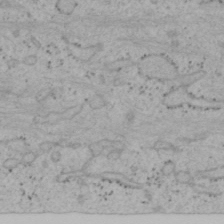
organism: Human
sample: HeLa cells